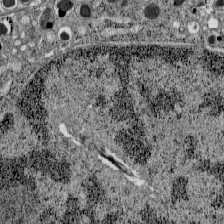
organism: C57BL Mouse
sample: Pancreatic islet